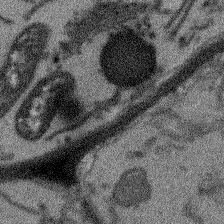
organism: Arabidopsis thaliana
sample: Root tip